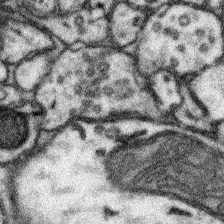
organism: Mouse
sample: Somatosensory cortex neuropil